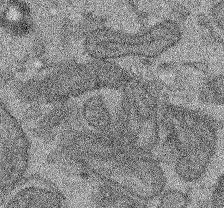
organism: Human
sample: HeLa cells